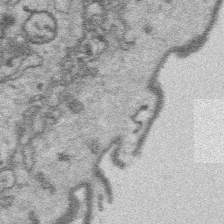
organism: Platynereis dumerilii